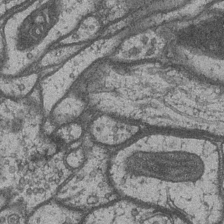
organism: Drosophila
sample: Optic medulla